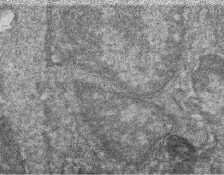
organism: Zebrafish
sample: Cilia; retinal pigment epithelium